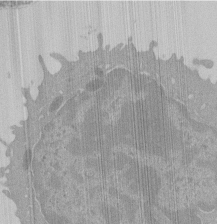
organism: Mouse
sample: Activated Pmel transgenic CD8+ T Cells